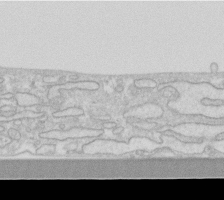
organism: Human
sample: Fibroblast cells